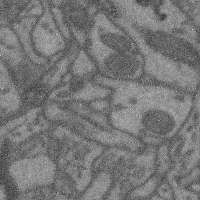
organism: Mouse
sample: Cerebral cortex